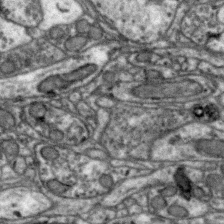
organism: Zebra finch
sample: Brain